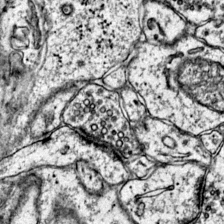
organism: Mouse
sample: Primary visual cortex